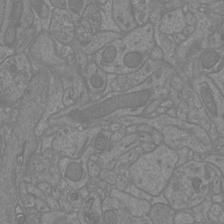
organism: Mouse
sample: Cortical neurons